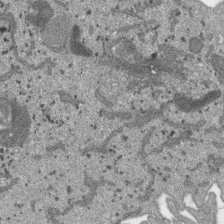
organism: Human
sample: Lung epithelial cells infected with SARS-CoV-2